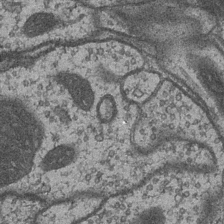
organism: Drosophila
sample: Optic medulla